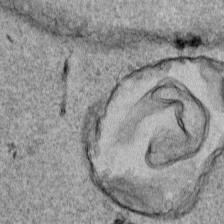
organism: Human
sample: Mitochondria in HCT116 cells